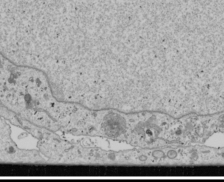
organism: Human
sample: Mitochondria in U2OS cells